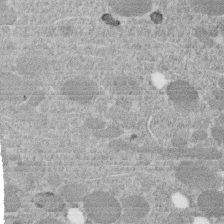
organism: C. elegans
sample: C. elegans embryo early stage